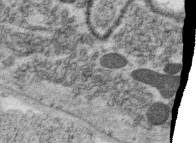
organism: C. elegans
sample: C. elegans oocyte; sperm cells